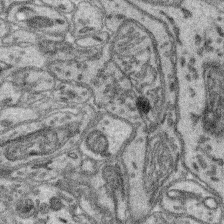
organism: Mouse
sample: Retina